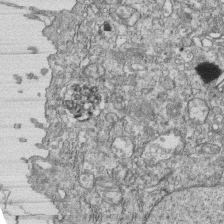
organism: Human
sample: HeLa cell HIV synapse